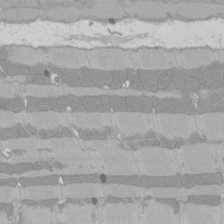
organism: Rat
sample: Left ventricle